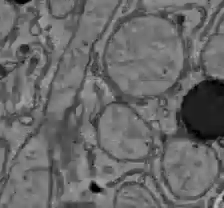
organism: C57BL Mouse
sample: Liver